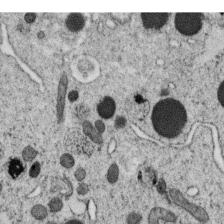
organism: C. elegans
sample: C. elegans oocyte; sperm cells